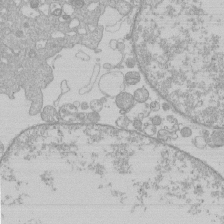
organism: Human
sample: Macrophage cells